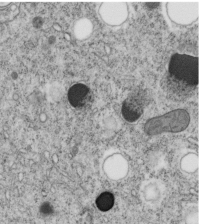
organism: C. elegans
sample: C. elegans embryo early stage